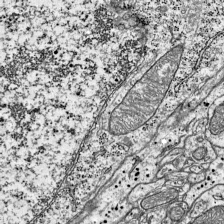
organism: Mouse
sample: Visual Cortex